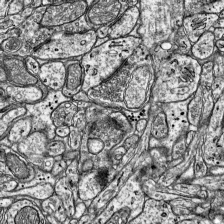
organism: Mouse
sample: Visual Cortex